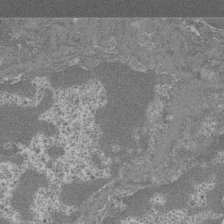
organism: Mouse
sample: Glomerulus